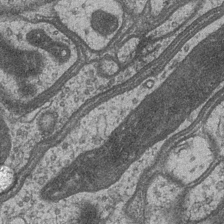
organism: Drosophila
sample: Optic medulla